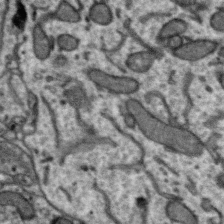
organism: Zebra finch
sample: Brain